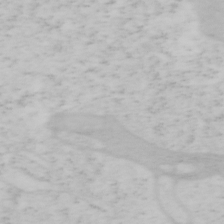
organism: Mouse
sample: OT-I killer T cells with ID8 ovarian cancer cells